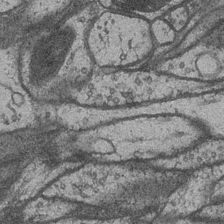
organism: Drosophila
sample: Optic medulla